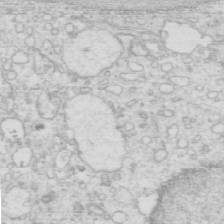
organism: Mouse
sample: Multiciliated cells